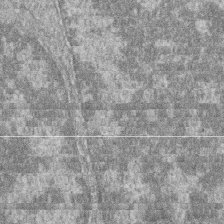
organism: Zebrafish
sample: Cilia; retinal pigment epithelium